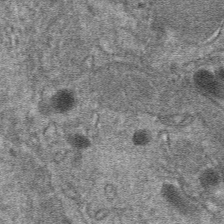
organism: Mouse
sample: Mouse hepatocytes